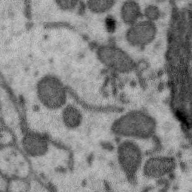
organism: Zebra finch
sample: Brain